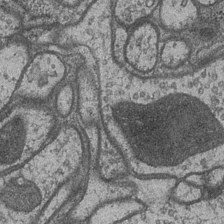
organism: Drosophila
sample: Optic medulla